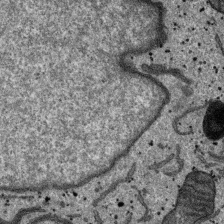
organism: Human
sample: Lung epithelial cells, uninfected (mock) control